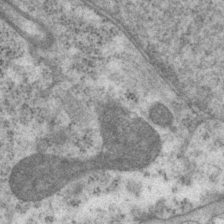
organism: P. pacificus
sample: Pharynx